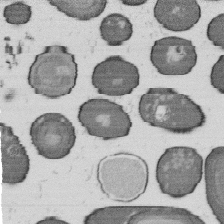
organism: B. subtilis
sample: Bacterial spore